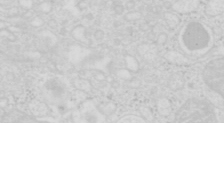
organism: Mouse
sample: Pancreas